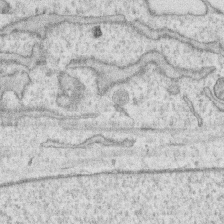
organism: Human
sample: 1205lu cells